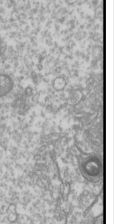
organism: Drosophila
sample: Cell division; meiosis; drosophila spermatocytes